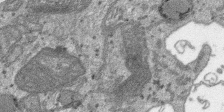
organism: Human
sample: Lung epithelial cells infected with SARS-CoV-2